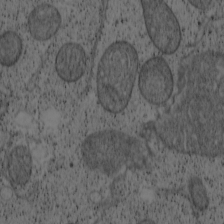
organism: African green monkey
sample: COS-7 cells